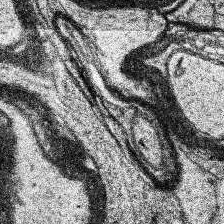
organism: Human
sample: Temporal Lobe